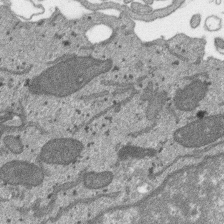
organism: Human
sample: Lung epithelial cells infected with SARS-CoV-2